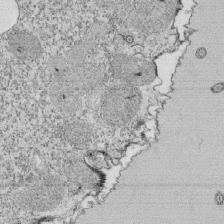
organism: Tetrahymena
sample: Cilia in tetrahymena